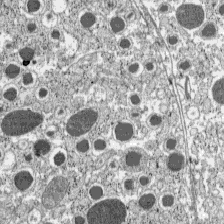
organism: C57BL Mouse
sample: Pancreatic islet